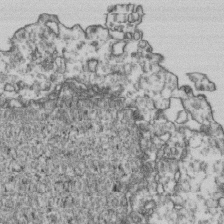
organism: Human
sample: Activated Jurkat CD4+ T cells